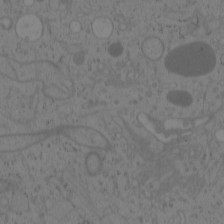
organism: Human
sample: HeLa cells